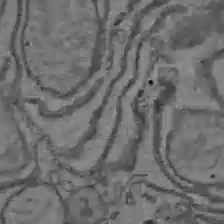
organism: C57BL Mouse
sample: Liver